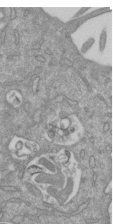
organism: Mouse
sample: ED-1 cell nuclei; centrioles